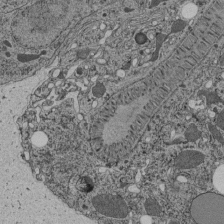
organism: C. elegans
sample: C. elegans pharynx